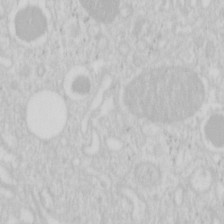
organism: Mouse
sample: Pancreas